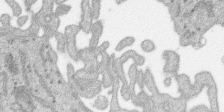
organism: Human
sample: Lung epithelial cells infected with SARS-CoV-2